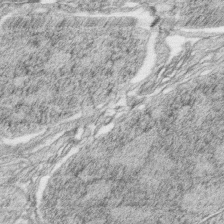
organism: Zebrafish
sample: synaptic ribbons in rod cells and cone cells